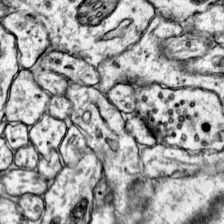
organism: Mouse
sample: Primary visual cortex